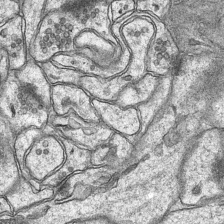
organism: Mouse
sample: CA1 Hippocampus